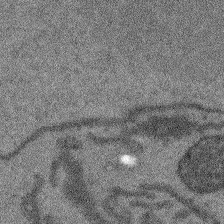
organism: Arabidopsis thaliana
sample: Root tip